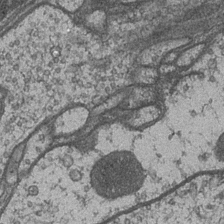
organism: Drosophila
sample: Optic medulla